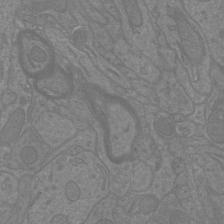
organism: Mouse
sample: Cortical neurons